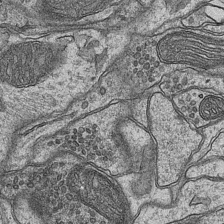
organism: Mouse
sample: CA1 Hippocampus